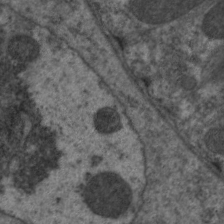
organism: C. elegans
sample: Pharynx